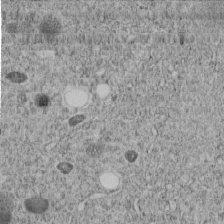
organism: C. elegans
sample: C. elegans embryo early stage